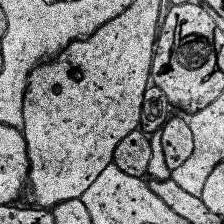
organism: Human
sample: Temporal Lobe